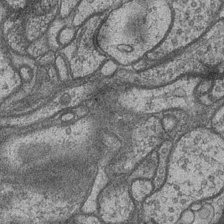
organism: Drosophila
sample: Optic medulla